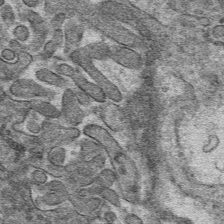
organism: Mouse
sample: Mouse hepatocytes